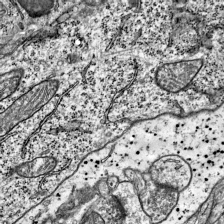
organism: Mouse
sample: Visual Cortex